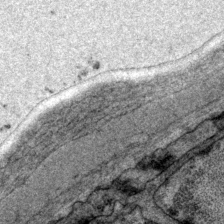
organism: P. pacificus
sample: Pharynx